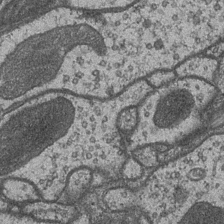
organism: Drosophila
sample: Optic medulla